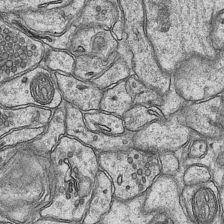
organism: Mouse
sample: CA1 Hippocampus